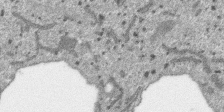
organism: Human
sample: Lung epithelial cells infected with SARS-CoV-2